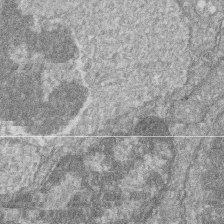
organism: Zebrafish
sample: Cilia; retinal pigment epithelium